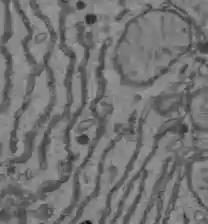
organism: C57BL Mouse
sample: Liver